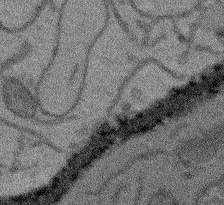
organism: Arabidopsis thaliana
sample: Root tip